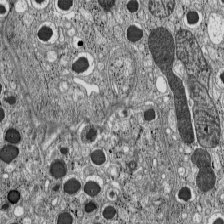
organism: C57BL Mouse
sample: Pancreatic islet